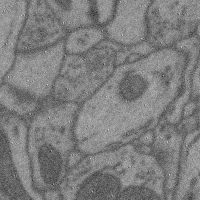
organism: Mouse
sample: Cerebral cortex